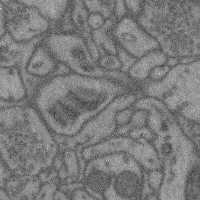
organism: Mouse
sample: Cerebral cortex